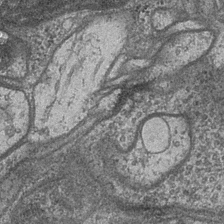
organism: Drosophila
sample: Optic medulla